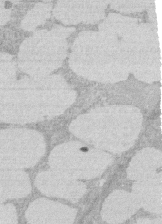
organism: Rat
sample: Salivary granule